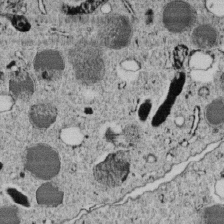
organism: C. elegans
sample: C. elegans embryo early stage